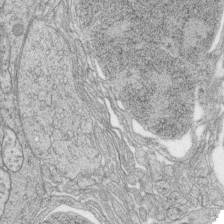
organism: Zebrafish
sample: synaptic ribbons in rod cells and cone cells